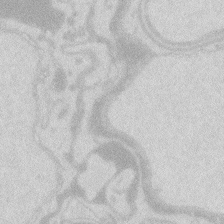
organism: Zebrafish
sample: Macrophage